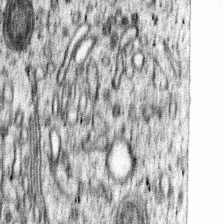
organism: Human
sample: HeLa cells